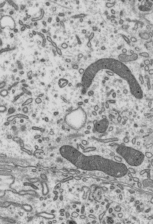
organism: Mouse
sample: Mouse epididymis efferent ductule cilia